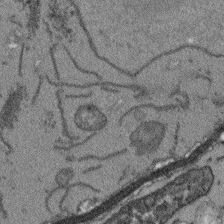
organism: Arabidopsis thaliana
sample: Root tip